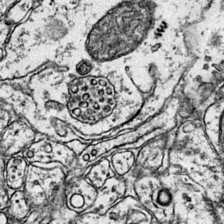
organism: Mouse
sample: Primary visual cortex